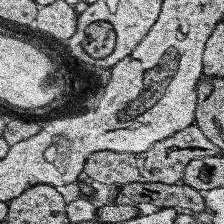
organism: Human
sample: Temporal Lobe